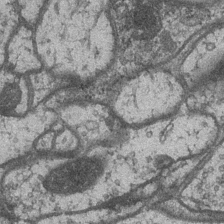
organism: Drosophila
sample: Optic medulla